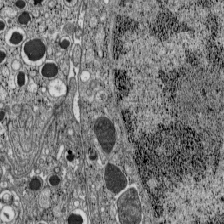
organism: C57BL Mouse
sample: Pancreatic islet